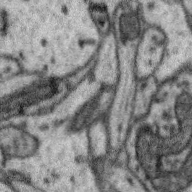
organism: Zebra finch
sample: Brain